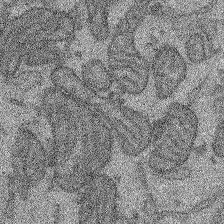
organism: Human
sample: HeLa cells